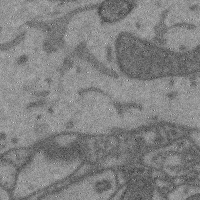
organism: Mouse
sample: Cerebral cortex